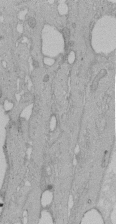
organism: Human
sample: Melanocyte Keratinocyte synapse skin construct